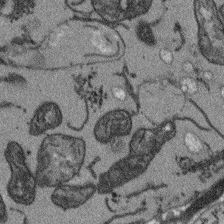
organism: Arabidopsis thaliana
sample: Root tip